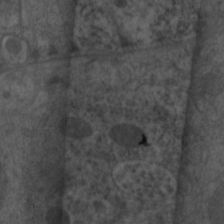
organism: C. elegans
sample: Pharynx